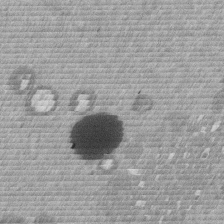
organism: Mouse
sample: Dividing mouse embryo 1 cell stage